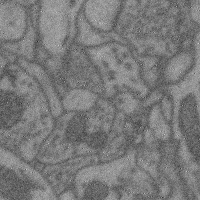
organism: Mouse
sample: Cerebral cortex